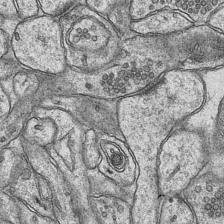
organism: Mouse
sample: CA1 Hippocampus